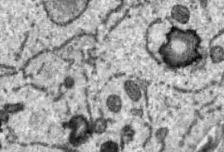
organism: Human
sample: HeLa cells